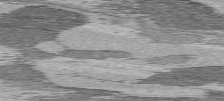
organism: C57BL Mouse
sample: Heart